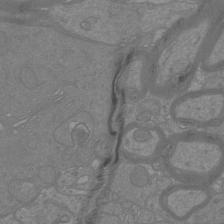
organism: Mouse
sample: Cortical neurons